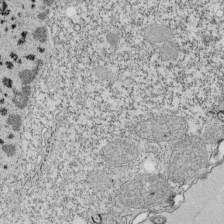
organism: Tetrahymena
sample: Cilia in tetrahymena